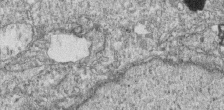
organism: Human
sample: HeLa cell HIV synapse